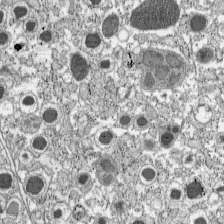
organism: C57BL Mouse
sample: Pancreatic islet